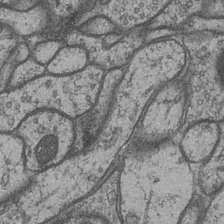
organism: Drosophila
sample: Optic medulla